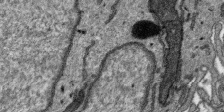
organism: Human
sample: Lung epithelial cells, uninfected (mock) control